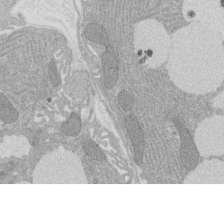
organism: Rat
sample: Salivary granule